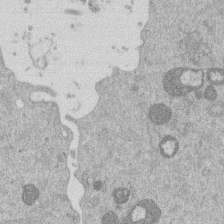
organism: Mouse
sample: Dividing mouse embryo 1 cell stage